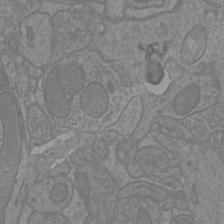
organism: Mouse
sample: Cortical neurons